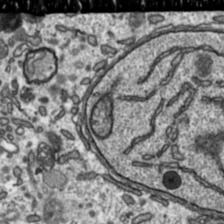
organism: Toxoplasma gondii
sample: Parasites in a vacuole inside a host cell